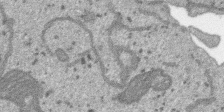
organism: Human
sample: Lung epithelial cells infected with SARS-CoV-2